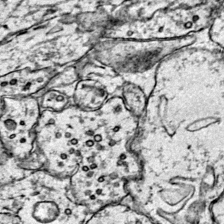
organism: Mouse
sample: Primary visual cortex